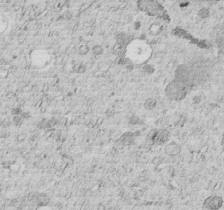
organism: C. elegans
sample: C. elegans embryo early stage